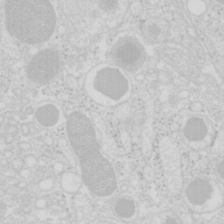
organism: Mouse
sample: Pancreas